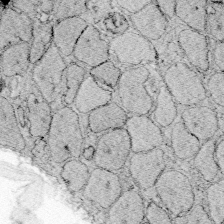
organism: Zebrafish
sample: Whole-Brain